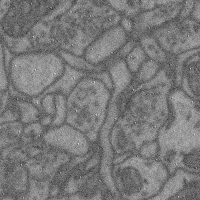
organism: Mouse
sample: Cerebral cortex